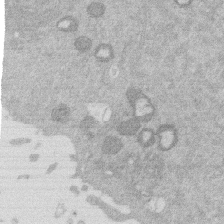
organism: Mouse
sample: Dividing mouse embryo 1 cell stage